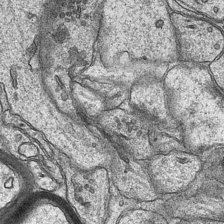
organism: Mouse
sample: CA1 Hippocampus